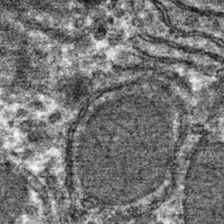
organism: Mouse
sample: Mouse hepatocytes